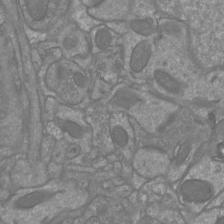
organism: Mouse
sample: Cortical neurons